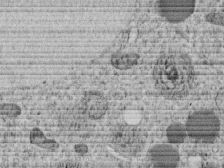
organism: C. elegans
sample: C. elegans embryo early stage